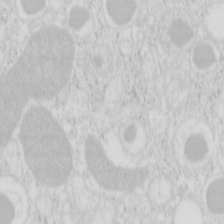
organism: Mouse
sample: Pancreas